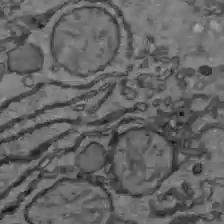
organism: C57BL Mouse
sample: Liver